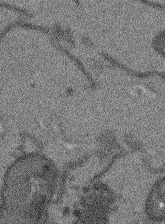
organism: Arabidopsis thaliana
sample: Root tip